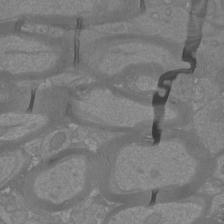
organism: Mouse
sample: Cortical neurons